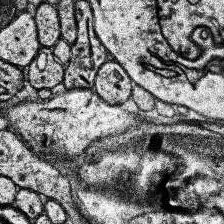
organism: Human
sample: Temporal Lobe